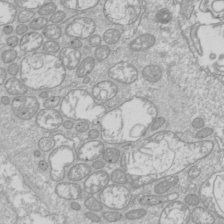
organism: Drosophila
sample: Cell division; meiosis; drosophila spermatocytes